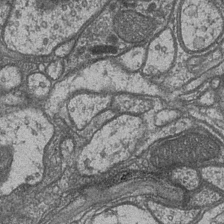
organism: Drosophila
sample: Optic medulla